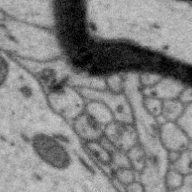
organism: Zebra finch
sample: Brain